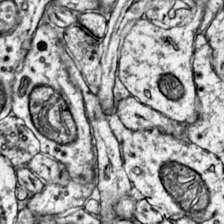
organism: Mouse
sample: Primary visual cortex